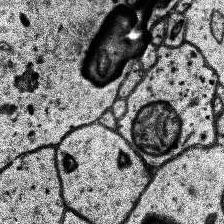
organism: Human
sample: Temporal Lobe